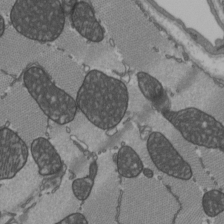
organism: C57BL Mouse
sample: Heart